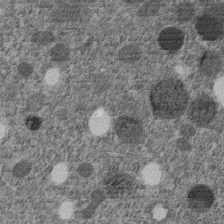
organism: C. elegans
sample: C. elegans embryo early stage